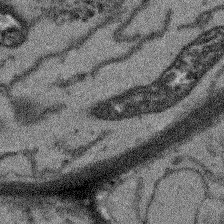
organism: Arabidopsis thaliana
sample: Root tip